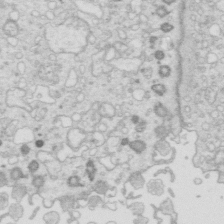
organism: Mouse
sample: Multiciliated cells